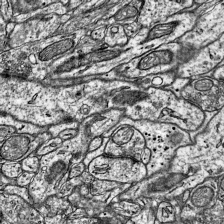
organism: Mouse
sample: Visual Cortex